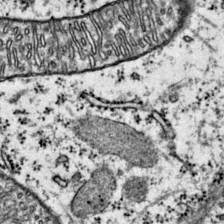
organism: Mouse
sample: Primary visual cortex